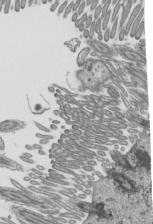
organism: Mouse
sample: Mouse epididymis efferent ductule cilia